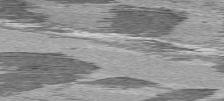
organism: C57BL Mouse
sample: Heart